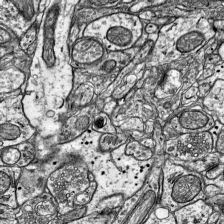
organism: Mouse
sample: Visual Cortex